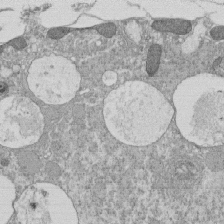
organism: Tetrahymena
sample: Cilia in tetrahymena